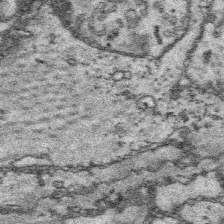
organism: Platynereis dumerilii